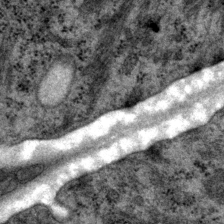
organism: P. pacificus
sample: Pharynx